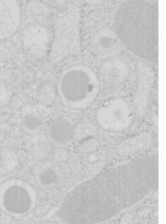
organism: Mouse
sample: Pancreas